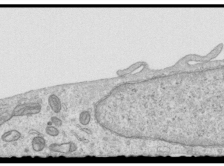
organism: Human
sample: Centriole in RPE cells